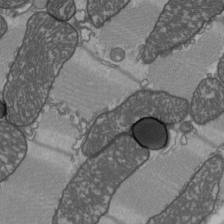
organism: C57BL Mouse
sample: Heart